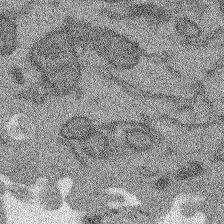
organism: Human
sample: HeLa cells